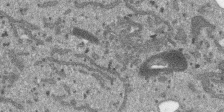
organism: Human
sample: Lung epithelial cells infected with SARS-CoV-2